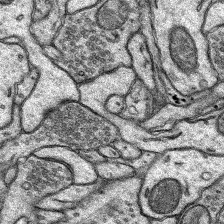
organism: Rat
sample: Hippocampus